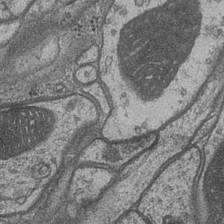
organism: Drosophila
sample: Optic medulla